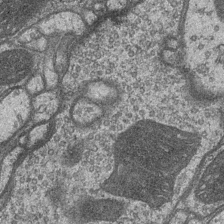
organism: Drosophila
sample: Optic medulla